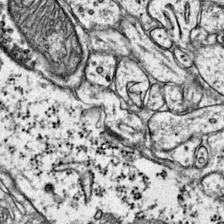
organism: Mouse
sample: Primary visual cortex